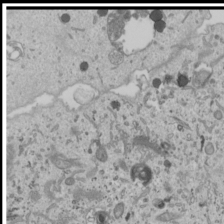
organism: Human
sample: Mitochondria in U2OS cells